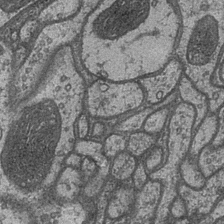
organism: Drosophila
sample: Optic medulla